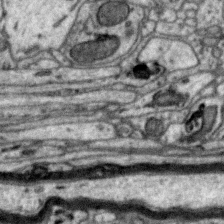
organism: Zebra finch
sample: Brain